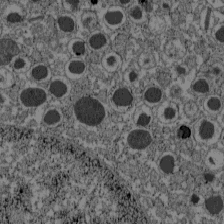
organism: C57BL Mouse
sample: Pancreatic islet